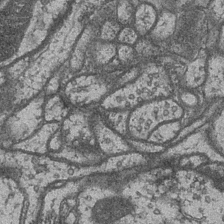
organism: Drosophila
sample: Optic medulla